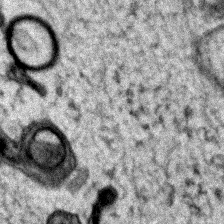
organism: Zebrafish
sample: Zebrafish embryo